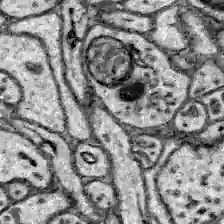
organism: Zebrafish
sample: Brain